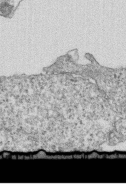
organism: Human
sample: HeLa cell HIV synapse